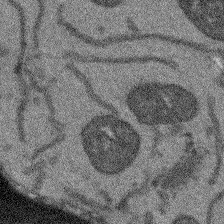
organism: Arabidopsis thaliana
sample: Root tip